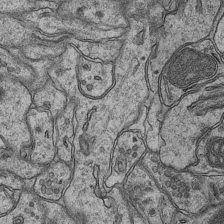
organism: Mouse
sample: CA1 Hippocampus